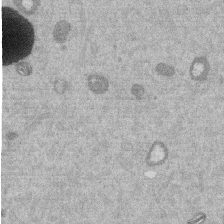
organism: Mouse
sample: Dividing mouse embryo 1 cell stage